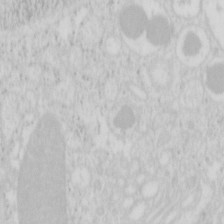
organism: Mouse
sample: Pancreas